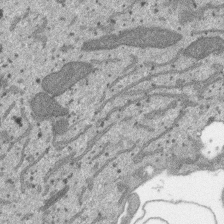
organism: Human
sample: Lung epithelial cells infected with SARS-CoV-2